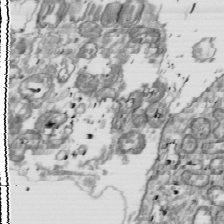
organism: Drosophila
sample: Cell division; meiosis; drosophila spermatocytes